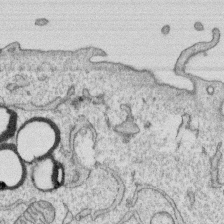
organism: Human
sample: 1205lu cells